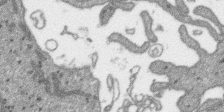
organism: Human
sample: Lung epithelial cells infected with SARS-CoV-2